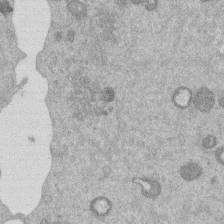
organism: Mouse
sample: Dividing mouse embryo 1 cell stage